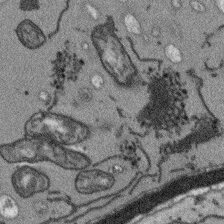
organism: Arabidopsis thaliana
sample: Root tip